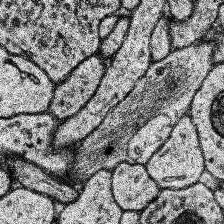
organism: Human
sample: Temporal Lobe